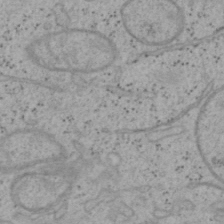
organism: Human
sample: HeLa cells